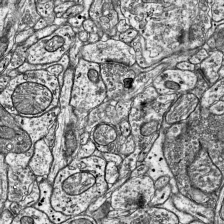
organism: Mouse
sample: Visual Cortex